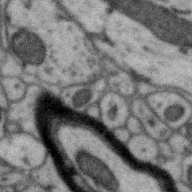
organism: Zebra finch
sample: Brain